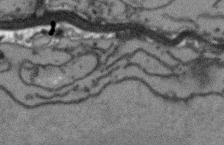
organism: Arabidopsis thaliana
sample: Root tip